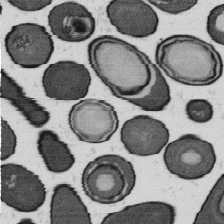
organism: B. subtilis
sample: Bacterial spore